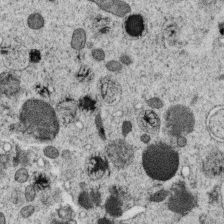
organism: C. elegans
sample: C. elegans oocyte; sperm cells